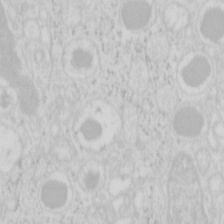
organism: Mouse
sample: Pancreas